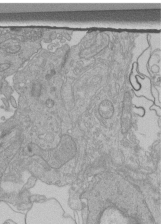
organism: Human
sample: Retinal organoid Rod and Cone cells